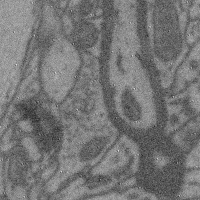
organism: Mouse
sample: Cerebral cortex